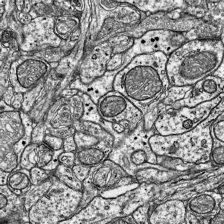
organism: Mouse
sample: Visual Cortex